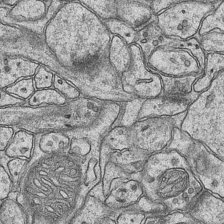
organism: Mouse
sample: CA1 Hippocampus